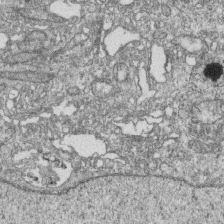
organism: Human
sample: HeLa cell HIV synapse